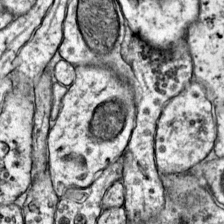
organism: Mouse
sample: Primary visual cortex